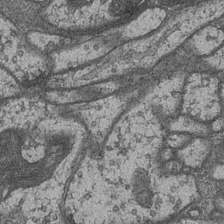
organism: Drosophila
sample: Optic medulla